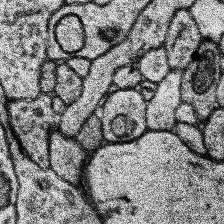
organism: Human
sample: Temporal Lobe